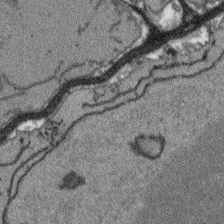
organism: Arabidopsis thaliana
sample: Root tip